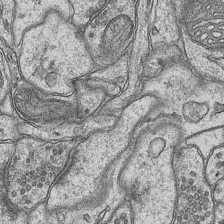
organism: Mouse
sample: CA1 Hippocampus